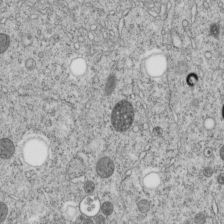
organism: C. elegans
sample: C. elegans embryo early stage